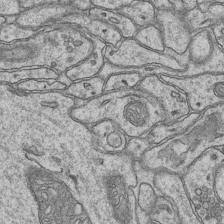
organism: Mouse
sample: CA1 Hippocampus